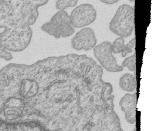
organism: Human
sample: MDA-MB-231 cells